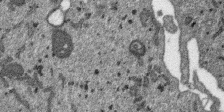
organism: Human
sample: Lung epithelial cells infected with SARS-CoV-2